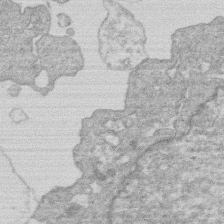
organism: Human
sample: Macrophage cells